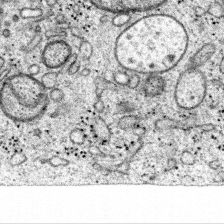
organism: Human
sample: HeLa cells